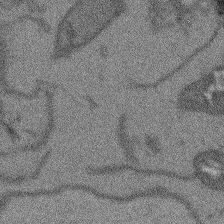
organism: Arabidopsis thaliana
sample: Root tip